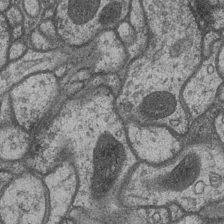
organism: Drosophila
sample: Optic medulla